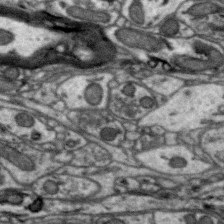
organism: Zebra finch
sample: Brain